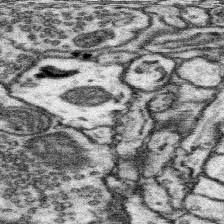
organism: Mouse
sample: Somatosensory cortex neuropil